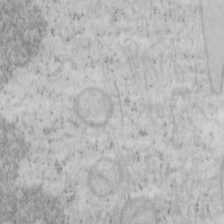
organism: Human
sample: HeLa cells